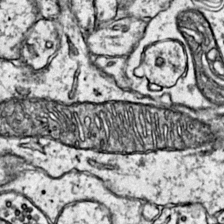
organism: Mouse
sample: Primary visual cortex